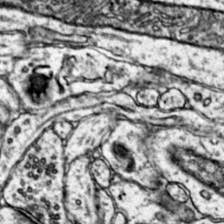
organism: Mouse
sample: Primary visual cortex